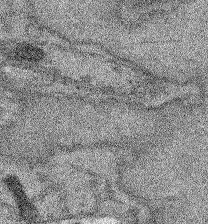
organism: Human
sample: HeLa cells